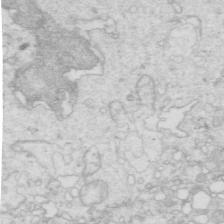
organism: Mouse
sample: Multiciliated cells